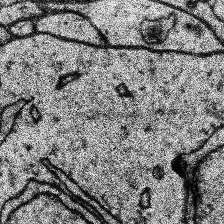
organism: Human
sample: Temporal Lobe